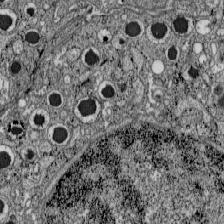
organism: C57BL Mouse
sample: Pancreatic islet